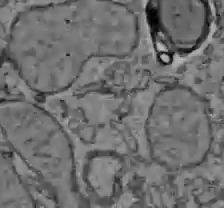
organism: C57BL Mouse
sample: Liver